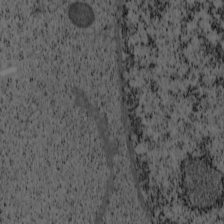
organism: African green monkey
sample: COS-7 cells